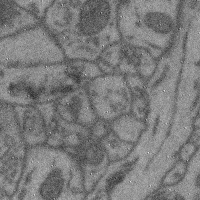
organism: Mouse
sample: Cerebral cortex